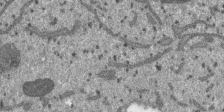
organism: Human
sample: Lung epithelial cells infected with SARS-CoV-2